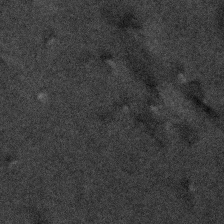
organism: Human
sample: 1205lu cells